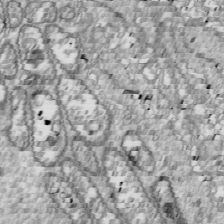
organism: Drosophila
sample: Cell division; meiosis; drosophila spermatocytes